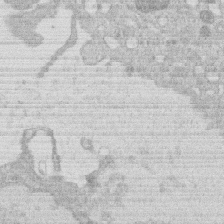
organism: Human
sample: Macrophage cells